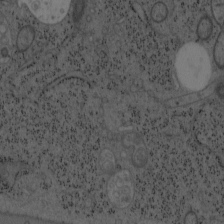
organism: Mouse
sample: OT-I killer T cells with ID8 ovarian cancer cells